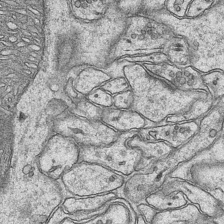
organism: Mouse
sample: CA1 Hippocampus